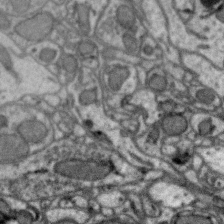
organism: Zebra finch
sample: Brain